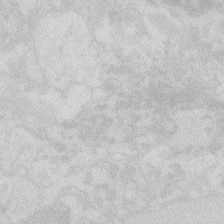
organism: Zebrafish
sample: Macrophage